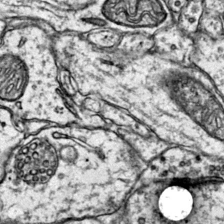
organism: Mouse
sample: Primary visual cortex